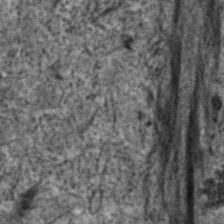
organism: Human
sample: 1205lu cells